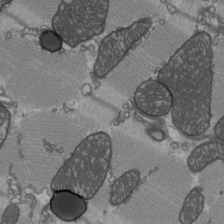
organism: C57BL Mouse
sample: Heart